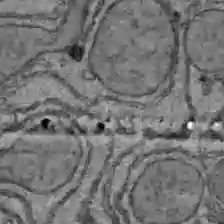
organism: C57BL Mouse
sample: Liver